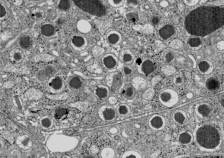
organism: C57BL Mouse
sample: Pancreatic islet